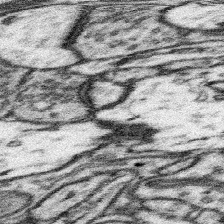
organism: Mouse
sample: Somatosensory cortex neuropil